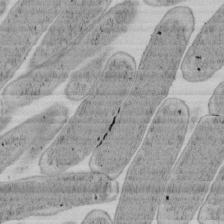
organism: E. coli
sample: Bacterial nucleoid